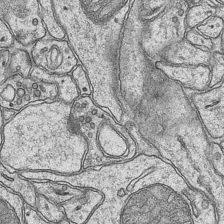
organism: Mouse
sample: CA1 Hippocampus